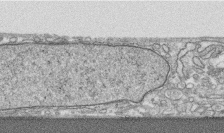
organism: Human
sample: CRL-1474